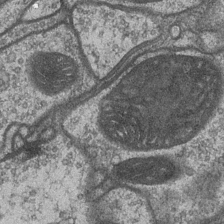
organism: Drosophila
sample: Optic medulla